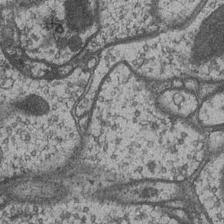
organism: Drosophila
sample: Optic medulla